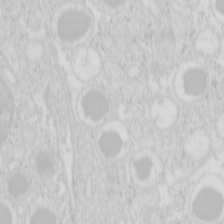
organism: Mouse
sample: Pancreas